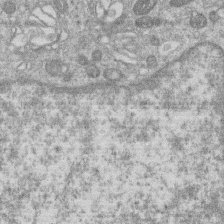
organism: Human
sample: Macrophage cells